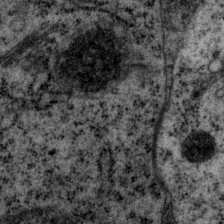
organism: P. pacificus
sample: Pharynx